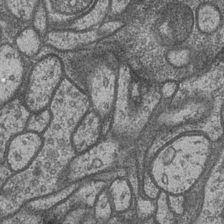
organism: Drosophila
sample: Optic medulla